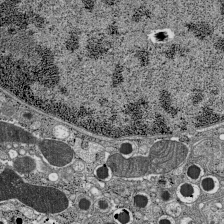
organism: C57BL Mouse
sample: Pancreatic islet